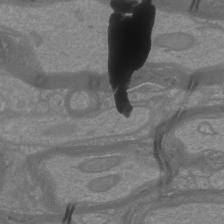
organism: Mouse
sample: Cortical neurons